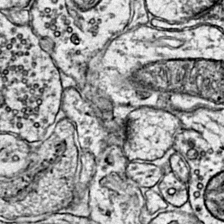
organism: Mouse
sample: Primary visual cortex